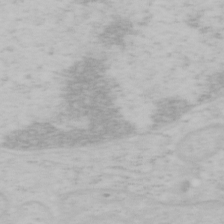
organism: Mouse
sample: OT-I killer T cells with ID8 ovarian cancer cells